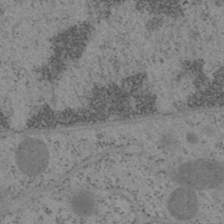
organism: Mouse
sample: OT-I killer T cells with ID8 ovarian cancer cells